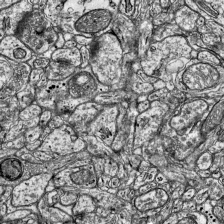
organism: Mouse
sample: Visual Cortex